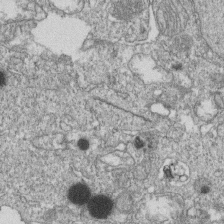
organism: Human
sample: HeLa cell HIV synapse